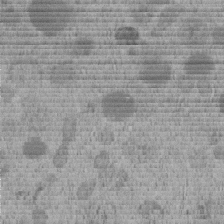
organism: C. elegans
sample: C. elegans embryo early stage